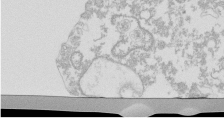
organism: Mouse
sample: Activated Pmel transgenic CD8+ T Cells